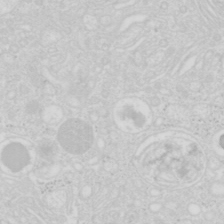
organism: Mouse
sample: Pancreas